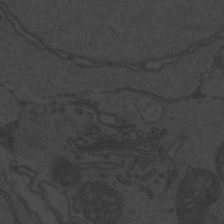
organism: Zebrafish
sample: Macrophage infected with Toxoplasma gondii